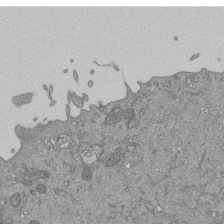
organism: Mouse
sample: ED-1 cell nuclei; centrioles